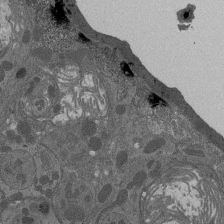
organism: Drosophila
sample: Antenna